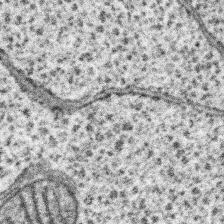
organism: Human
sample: HeLa cells